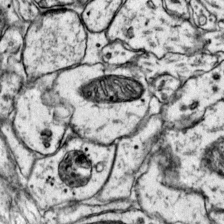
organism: Mouse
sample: Primary visual cortex